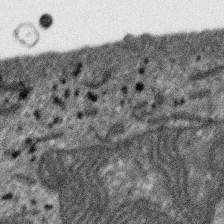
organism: Human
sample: Lung epithelial cells infected with SARS-CoV-2